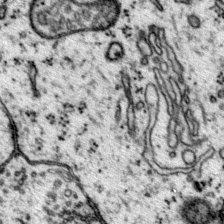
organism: Mouse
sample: Primary visual cortex